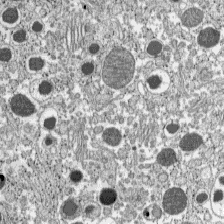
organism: C57BL Mouse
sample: Pancreatic islet